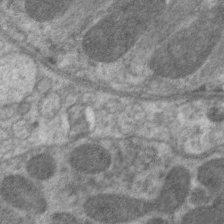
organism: C. elegans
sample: Pharynx